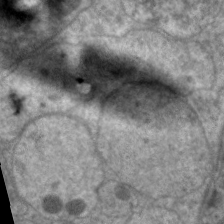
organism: C. elegans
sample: Pharynx